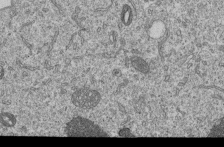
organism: Human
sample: MDA-MB-231 cells